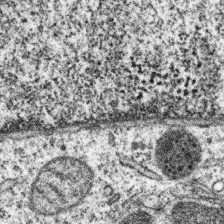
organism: Human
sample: HeLa cells